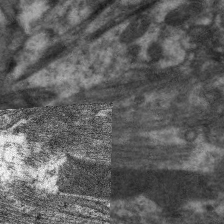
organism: C. elegans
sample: Pharynx